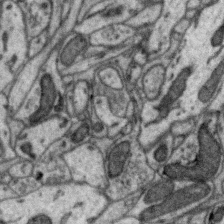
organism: Zebra finch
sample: Brain